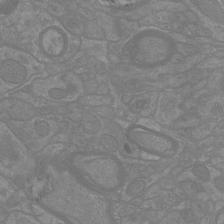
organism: Mouse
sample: Cortical neurons